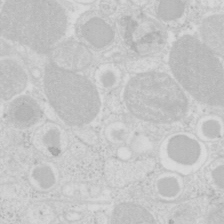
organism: Mouse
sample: Pancreas